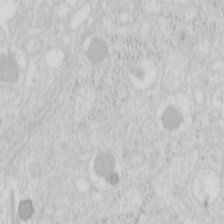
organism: Mouse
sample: Pancreas